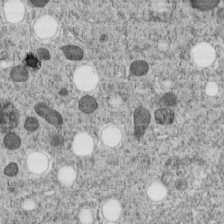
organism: C. elegans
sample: C. elegans embryo early stage